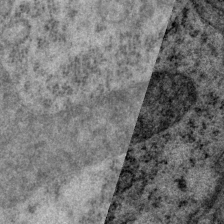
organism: P. pacificus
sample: Pharynx